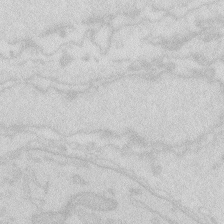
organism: Zebrafish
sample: Macrophage